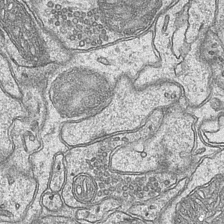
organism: Mouse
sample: CA1 Hippocampus